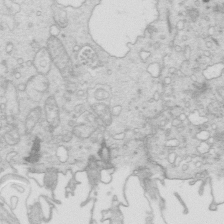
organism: Mouse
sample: Multiciliated cells